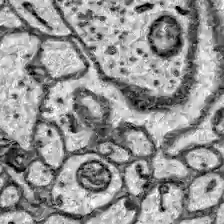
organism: Zebrafish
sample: Brain